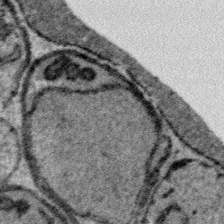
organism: Plasmodium falciparum